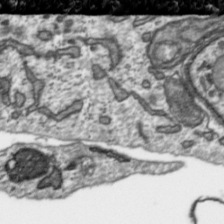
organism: Toxoplasma gondii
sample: Parasites in a vacuole inside a host cell